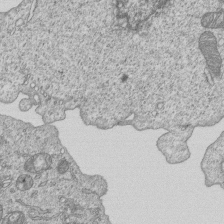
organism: Human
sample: MDA-MB-231 cells